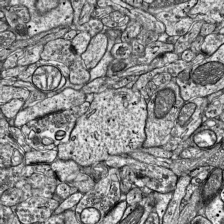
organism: Mouse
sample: Visual Cortex